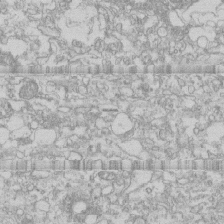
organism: Human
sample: CRL-1474